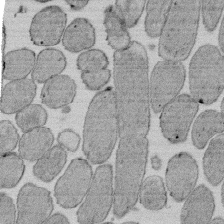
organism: E. coli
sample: Bacterial nucleoid